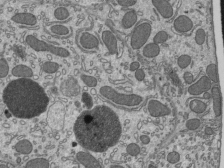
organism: Mouse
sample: Mouse epididymis efferent ductule cilia